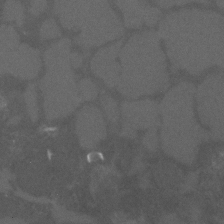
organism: C. elegans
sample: C. elegans embryo